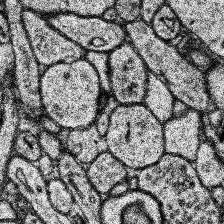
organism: Human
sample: Temporal Lobe